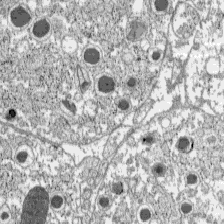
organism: C57BL Mouse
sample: Pancreatic islet